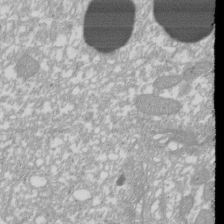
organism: Xenopus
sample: Cilia; centrioles in frog embryo cells